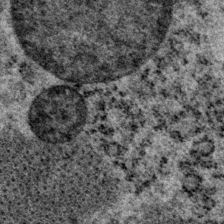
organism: P. pacificus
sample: Pharynx